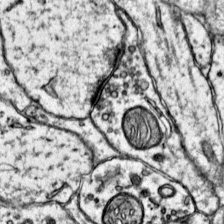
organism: Mouse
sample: Primary visual cortex